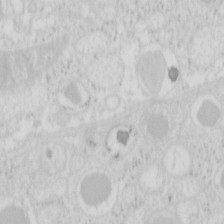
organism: Mouse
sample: Pancreas